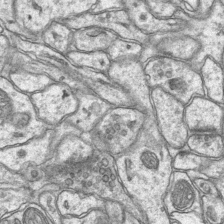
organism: Mouse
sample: CA1 Hippocampus